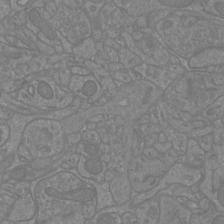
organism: Mouse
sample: Cortical neurons